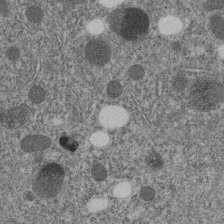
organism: C. elegans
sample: C. elegans embryo early stage